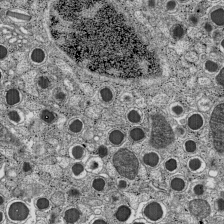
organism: C57BL Mouse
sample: Pancreatic islet